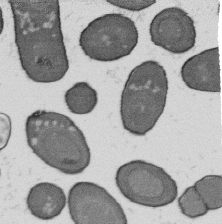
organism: B. subtilis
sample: Bacterial spore